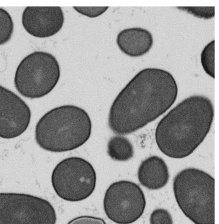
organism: B. subtilis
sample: Bacterial spore